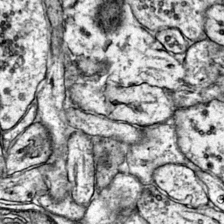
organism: Mouse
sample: Primary visual cortex